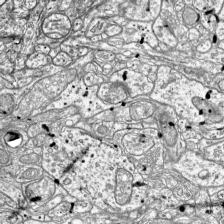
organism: Mouse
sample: Visual Cortex